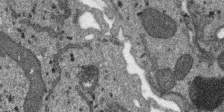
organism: Human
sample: Lung epithelial cells infected with SARS-CoV-2